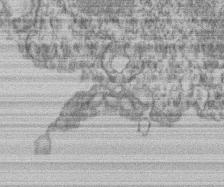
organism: Mouse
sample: T cell stromal cell synapse